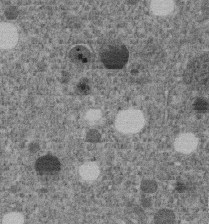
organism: C. elegans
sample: C. elegans embryo early stage